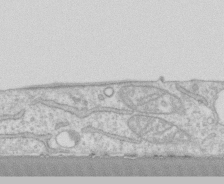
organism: Human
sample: CRL-1474